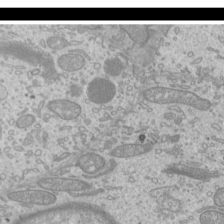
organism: Mouse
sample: Cilia; mouse epididymis